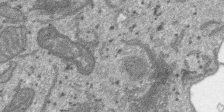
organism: Human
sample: Lung epithelial cells infected with SARS-CoV-2